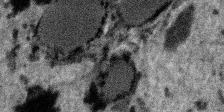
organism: Human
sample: Lung epithelial cells infected with SARS-CoV-2